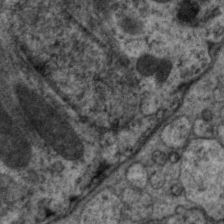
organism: C. elegans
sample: Pharynx